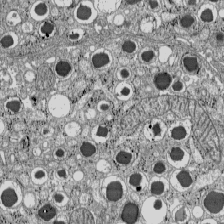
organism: C57BL Mouse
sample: Pancreatic islet